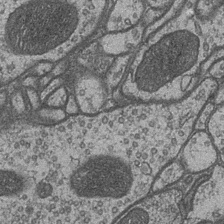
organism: Drosophila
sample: Optic medulla